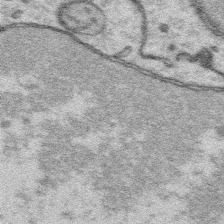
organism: Platynereis dumerilii